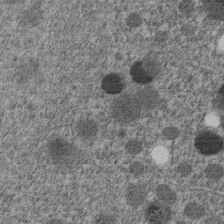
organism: C. elegans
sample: C. elegans embryo early stage